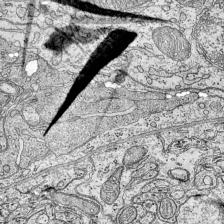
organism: Mouse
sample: Visual Cortex